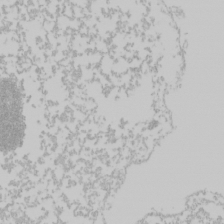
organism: Mouse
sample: Cancer cell death in ED-1 cells